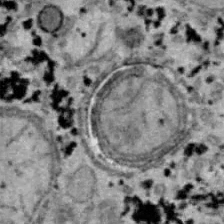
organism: Mouse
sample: Liver from an obese (ob/ob) mouse